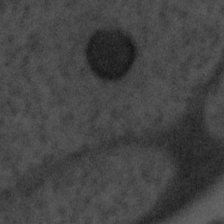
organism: Tuwongella immobilis